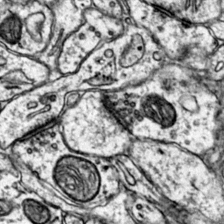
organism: Mouse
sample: Primary visual cortex